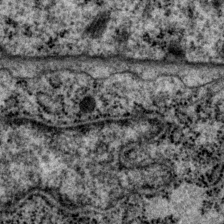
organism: P. pacificus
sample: Pharynx